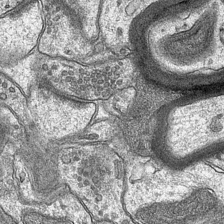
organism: Mouse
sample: CA1 Hippocampus